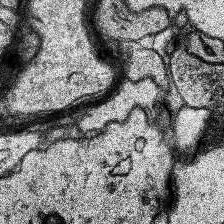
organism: Human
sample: Temporal Lobe